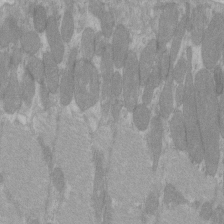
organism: C57BL Mouse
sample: Tibialis anterior muscle cell